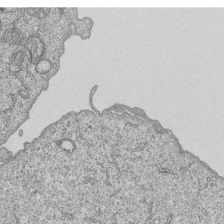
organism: Human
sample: MDA-MB-231 cells